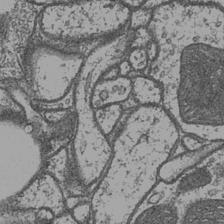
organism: Drosophila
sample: Optic medulla